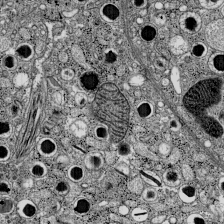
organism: C57BL Mouse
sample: Pancreatic islet